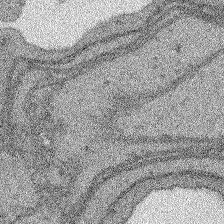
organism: Human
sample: HeLa cells